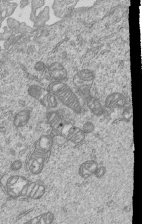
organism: Human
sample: MDA-MB-231 cells